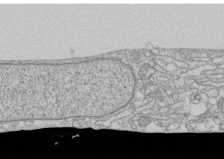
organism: Human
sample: CRL-1474